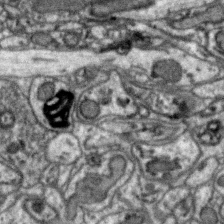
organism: Zebra finch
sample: Brain